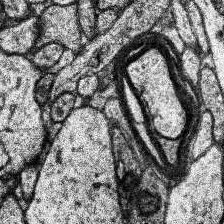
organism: Human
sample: Temporal Lobe